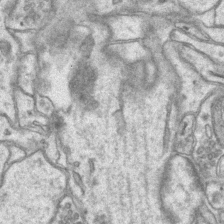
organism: Mouse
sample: CA1 Hippocampus